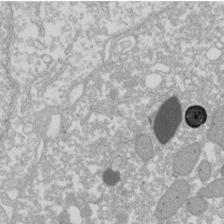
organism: Xenopus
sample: Cilia; centrioles in frog embryo cells